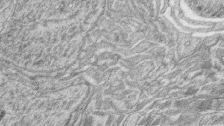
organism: Zebrafish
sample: synaptic ribbons in rod cells and cone cells